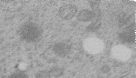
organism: C. elegans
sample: C. elegans embryo early stage